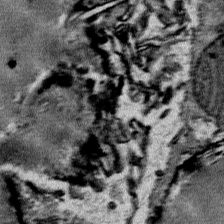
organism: Mouse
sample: Mouse Salivary gland